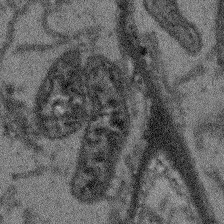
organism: Arabidopsis thaliana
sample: Root tip